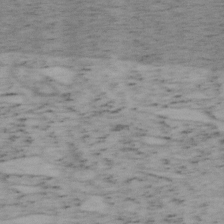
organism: Mouse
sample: OT-I killer T cells with ID8 ovarian cancer cells